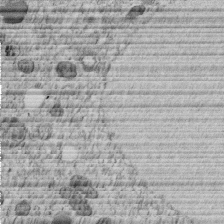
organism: C. elegans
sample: C. elegans embryo early stage